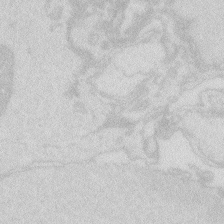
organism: Zebrafish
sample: Macrophage